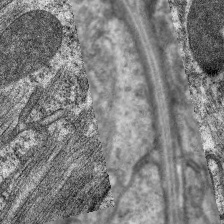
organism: C. elegans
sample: Pharynx